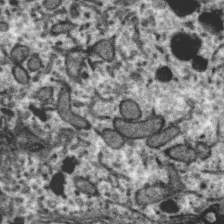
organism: Zebra finch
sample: Brain